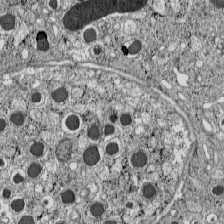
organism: C57BL Mouse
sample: Pancreatic islet